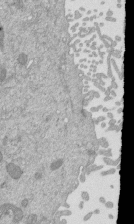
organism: Mouse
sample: ED-1 cell nuclei; centrioles